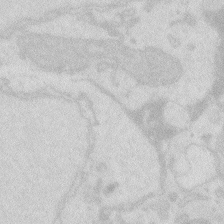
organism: Zebrafish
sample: Macrophage